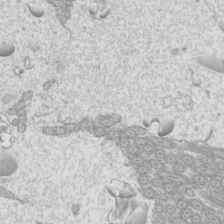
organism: Mouse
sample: Cilia; mouse epididymis